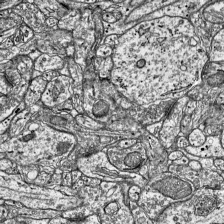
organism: Mouse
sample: Visual Cortex